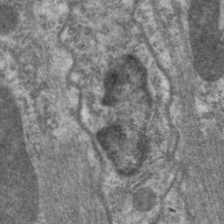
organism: C. elegans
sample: Pharynx